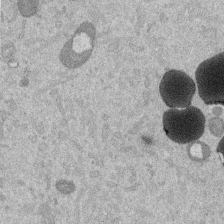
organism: Mouse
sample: Dividing mouse embryo 1 cell stage